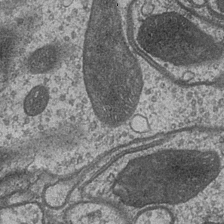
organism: Drosophila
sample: Optic medulla